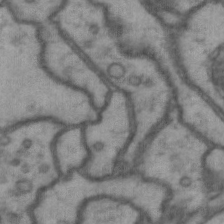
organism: Drosophila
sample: Brain